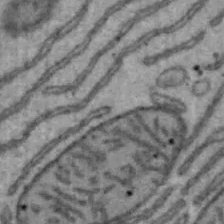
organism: Mouse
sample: Liver